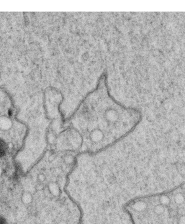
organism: C. elegans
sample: C. elegans oocyte; sperm cells